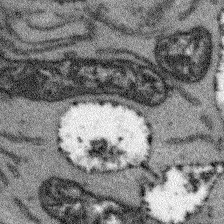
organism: Arabidopsis thaliana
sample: Root tip